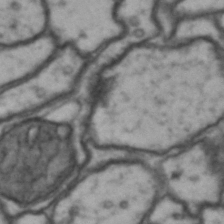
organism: Drosophila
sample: Brain